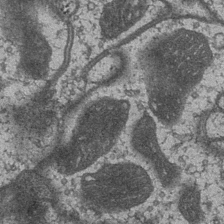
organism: Drosophila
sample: Optic medulla